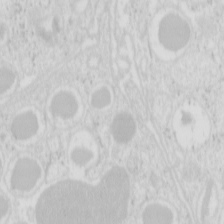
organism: Mouse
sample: Pancreas